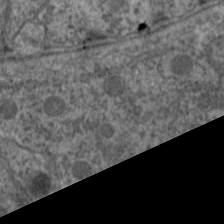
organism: C. elegans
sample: Pharynx